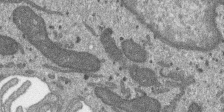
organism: Human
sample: Lung epithelial cells infected with SARS-CoV-2